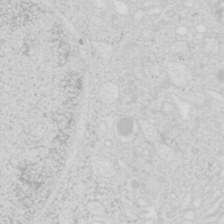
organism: Mouse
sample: Pancreas